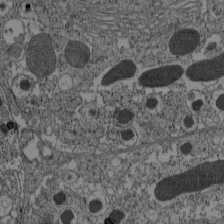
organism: C57BL Mouse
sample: Pancreatic islet